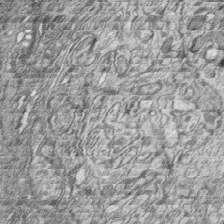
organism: Zebrafish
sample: synaptic ribbons in rod cells and cone cells